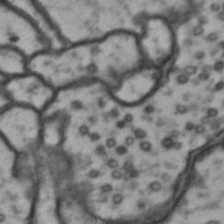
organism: Drosophila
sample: Brain